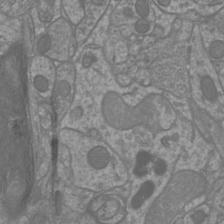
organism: Mouse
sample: Cortical neurons